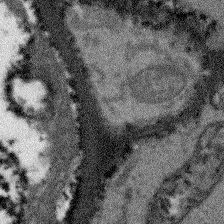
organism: Arabidopsis thaliana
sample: Root tip